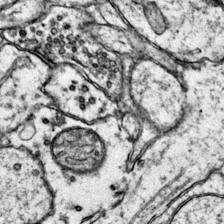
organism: Mouse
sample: Primary visual cortex